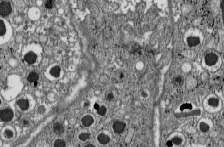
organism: C57BL Mouse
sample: Pancreatic islet